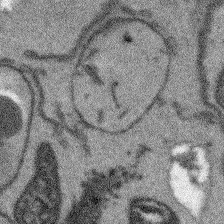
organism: Arabidopsis thaliana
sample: Root tip